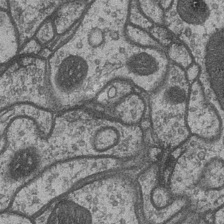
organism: Drosophila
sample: Optic medulla